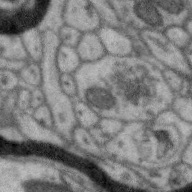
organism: Zebra finch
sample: Brain